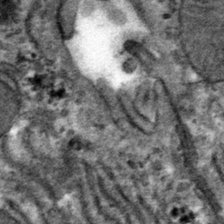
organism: Mouse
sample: Mouse hepatocytes